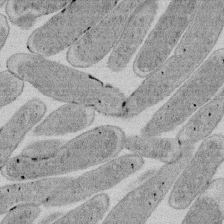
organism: E. coli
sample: Bacterial nucleoid